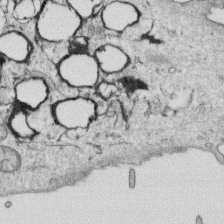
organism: Human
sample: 1205lu cells